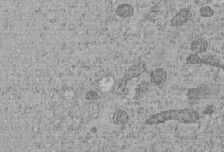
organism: C. elegans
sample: C. elegans embryo early stage